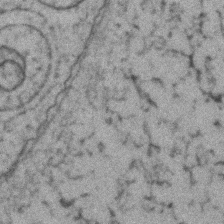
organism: Zebrafish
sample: Zebrafish embryo